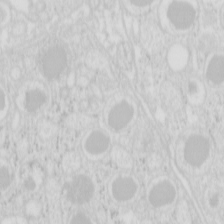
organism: Mouse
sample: Pancreas